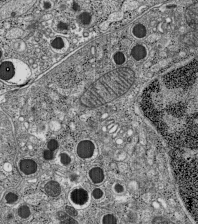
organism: C57BL Mouse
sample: Pancreatic islet